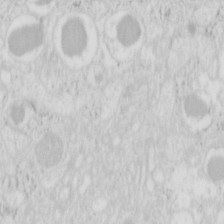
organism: Mouse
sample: Pancreas